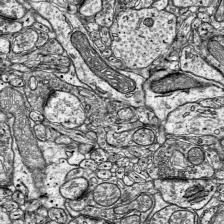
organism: Mouse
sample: Visual Cortex